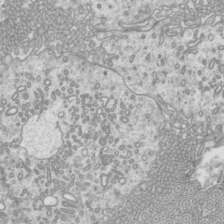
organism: Mouse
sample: Cilia; mouse epididymis